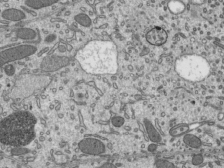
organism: Mouse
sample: Mouse epididymis efferent ductule cilia